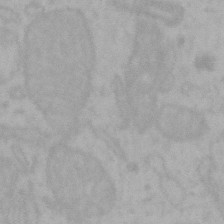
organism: Mouse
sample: Choroid plexus